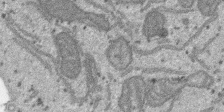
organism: Human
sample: Lung epithelial cells infected with SARS-CoV-2